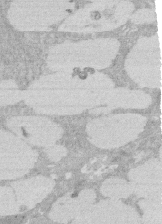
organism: Rat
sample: Salivary granule